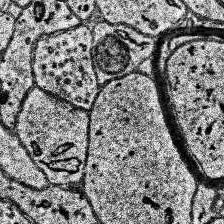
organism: Human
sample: Temporal Lobe